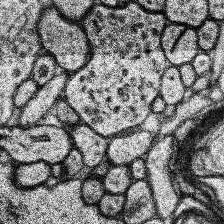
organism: Human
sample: Temporal Lobe